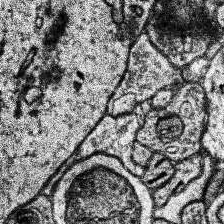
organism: Human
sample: Temporal Lobe